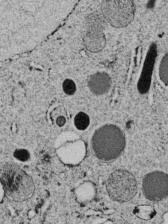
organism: C. elegans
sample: C. elegans embryo early stage